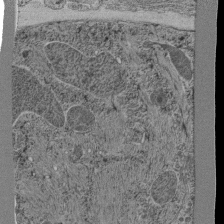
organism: C. elegans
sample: C. elegans pharynx